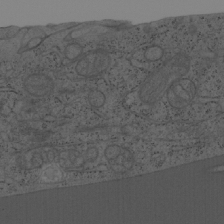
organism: Human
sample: HeLa cells